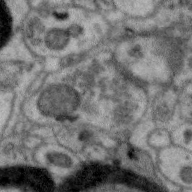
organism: Zebra finch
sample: Brain